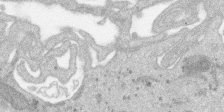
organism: Human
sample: Lung epithelial cells infected with SARS-CoV-2